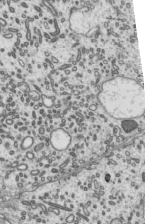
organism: Mouse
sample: Mouse epididymis efferent ductule cilia